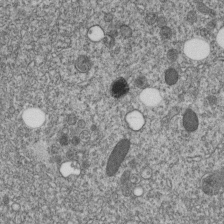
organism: C. elegans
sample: C. elegans embryo early stage